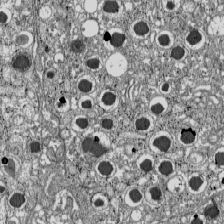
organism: C57BL Mouse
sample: Pancreatic islet